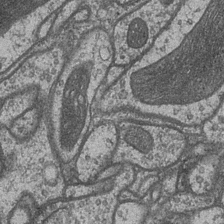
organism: Drosophila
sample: Optic medulla